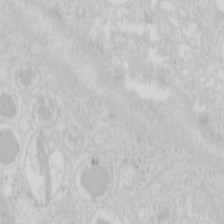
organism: Mouse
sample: Pancreas